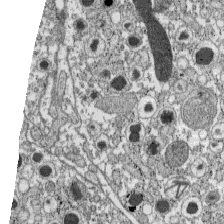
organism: C57BL Mouse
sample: Pancreatic islet